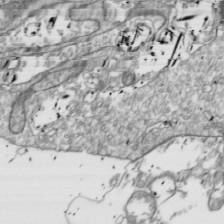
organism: Drosophila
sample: Cell division; meiosis; drosophila spermatocytes